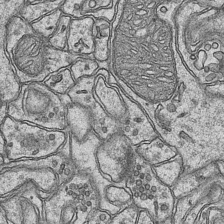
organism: Mouse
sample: CA1 Hippocampus